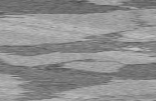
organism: C57BL Mouse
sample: Heart